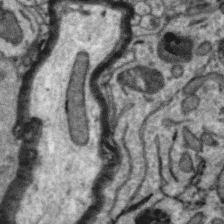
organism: Zebra finch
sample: Brain